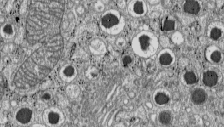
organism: C57BL Mouse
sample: Pancreatic islet